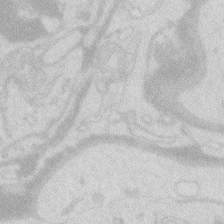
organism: Zebrafish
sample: Macrophage